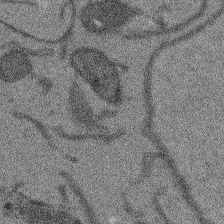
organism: Arabidopsis thaliana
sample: Root tip